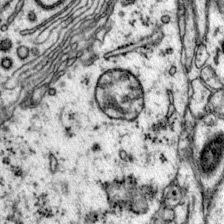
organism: Mouse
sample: Primary visual cortex